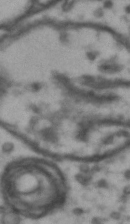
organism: Drosophila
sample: Brain